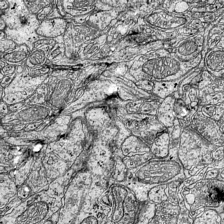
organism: Mouse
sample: Visual Cortex